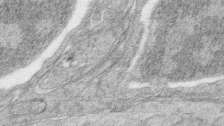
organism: Zebrafish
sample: synaptic ribbons in rod cells and cone cells